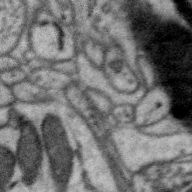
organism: Zebra finch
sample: Brain